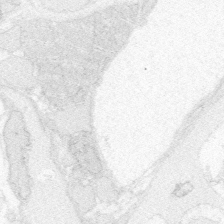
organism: Zebrafish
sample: Whole-Brain